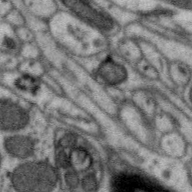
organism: Zebra finch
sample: Brain